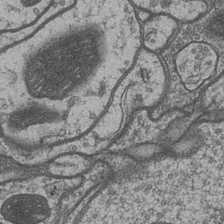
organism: Drosophila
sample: Optic medulla